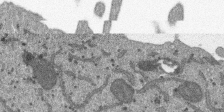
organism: Human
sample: Lung epithelial cells infected with SARS-CoV-2